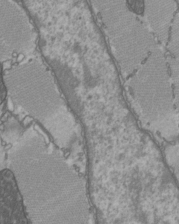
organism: C57BL Mouse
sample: Heart